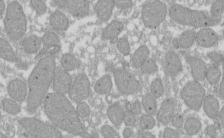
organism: Xenopus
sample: Cilia; centrioles in frog embryo cells